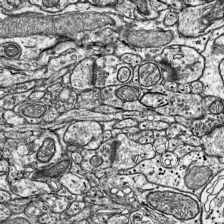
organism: Mouse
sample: Visual Cortex